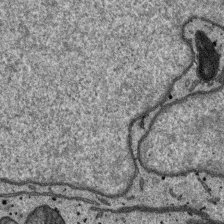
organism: Human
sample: Lung epithelial cells, uninfected (mock) control